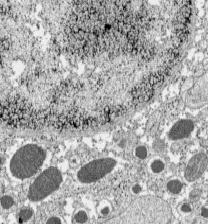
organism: C57BL Mouse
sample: Pancreatic islet